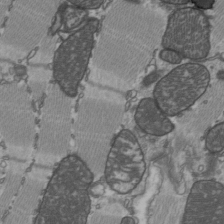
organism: C57BL Mouse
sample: Heart